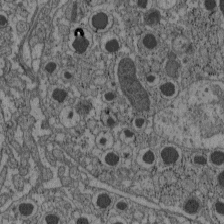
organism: C57BL Mouse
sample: Pancreatic islet